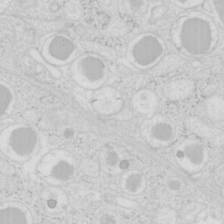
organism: Mouse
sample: Pancreas